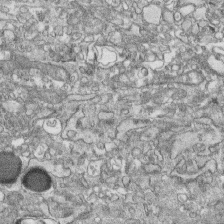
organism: Human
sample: CRL-1474